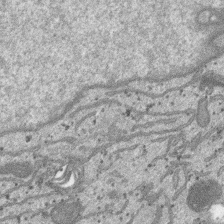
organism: Human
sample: Lung epithelial cells infected with SARS-CoV-2